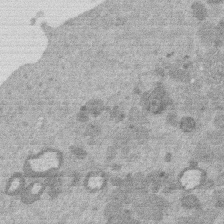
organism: Mouse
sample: Dividing mouse embryo 1 cell stage